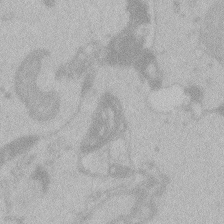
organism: Zebrafish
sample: Macrophage infected with Toxoplasma gondii